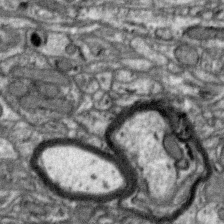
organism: Zebra finch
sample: Brain